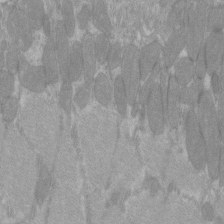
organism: C57BL Mouse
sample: Tibialis anterior muscle cell